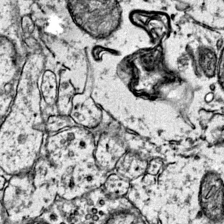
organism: Mouse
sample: Primary visual cortex